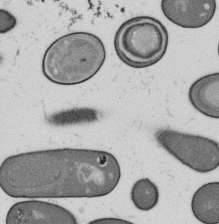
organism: B. subtilis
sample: Bacterial spore